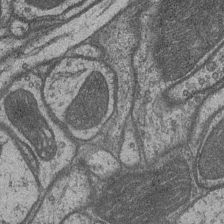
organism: Drosophila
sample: Optic medulla